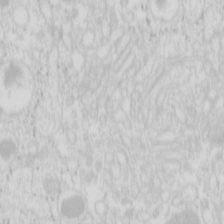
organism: Mouse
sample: Pancreas